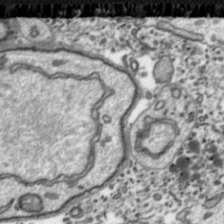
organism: Toxoplasma gondii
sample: Parasites in a vacuole inside a host cell